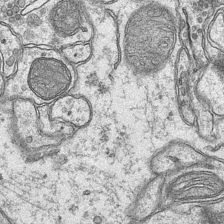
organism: Mouse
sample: CA1 Hippocampus